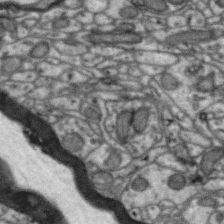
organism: Zebra finch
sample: Brain